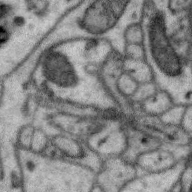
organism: Zebra finch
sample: Brain